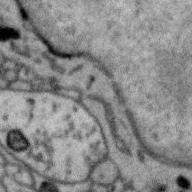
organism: Zebra finch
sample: Brain